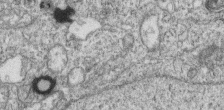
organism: Human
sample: HeLa cell HIV synapse